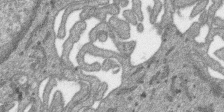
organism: Human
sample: Lung epithelial cells infected with SARS-CoV-2